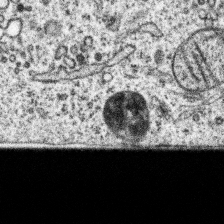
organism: Human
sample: HeLa cells